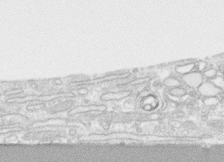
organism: Human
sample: CRL-1474